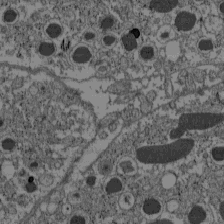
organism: C57BL Mouse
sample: Pancreatic islet